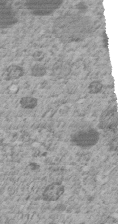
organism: C. elegans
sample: C. elegans embryo early stage